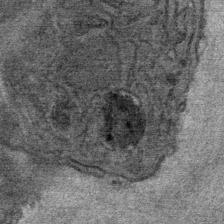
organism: Mouse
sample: Mouse Salivary gland